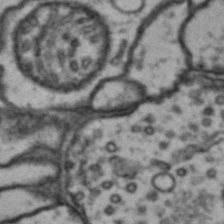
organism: Drosophila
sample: Brain